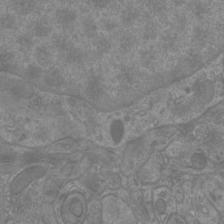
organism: Mouse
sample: Cortical neurons